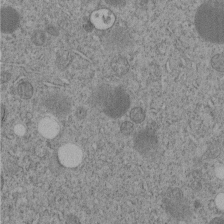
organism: C. elegans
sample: C. elegans embryo early stage